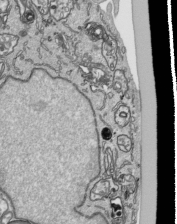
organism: Human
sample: Mitochondria in HCT116 cells